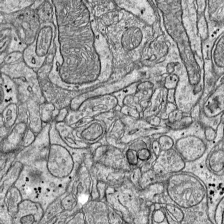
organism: Mouse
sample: Visual Cortex